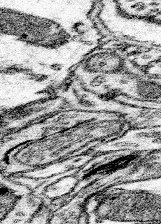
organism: Mouse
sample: Somatosensory cortex neuropil